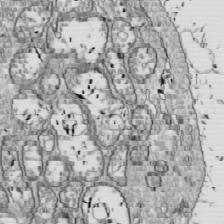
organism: Drosophila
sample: Cell division; meiosis; drosophila spermatocytes